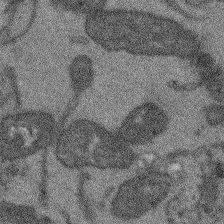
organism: Arabidopsis thaliana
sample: Root tip